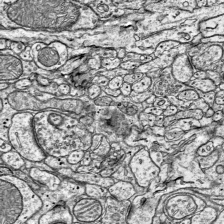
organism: Mouse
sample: Visual Cortex